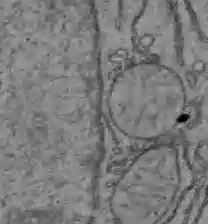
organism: C57BL Mouse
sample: Liver